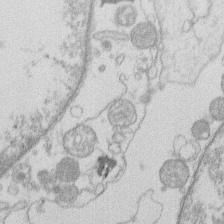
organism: Human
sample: Macrophage cells